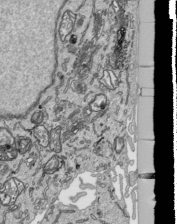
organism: Human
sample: Mitochondria in HCT116 cells